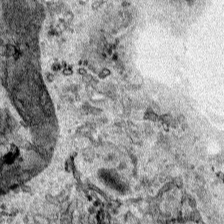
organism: Human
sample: Mitochondria in HCT116 cells